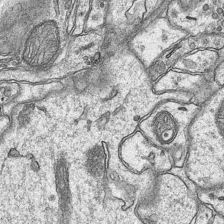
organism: Mouse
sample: CA1 Hippocampus